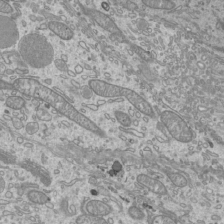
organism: Mouse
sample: Cilia; mouse epididymis